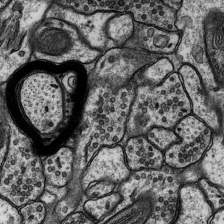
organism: Rat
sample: Hippocampus